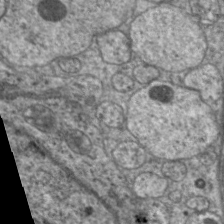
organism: C. elegans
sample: Pharynx